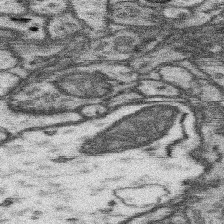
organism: Mouse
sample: Somatosensory cortex neuropil